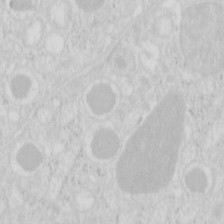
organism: Mouse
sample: Pancreas